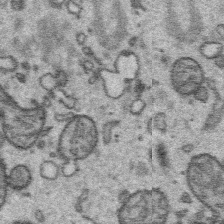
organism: Platynereis dumerilii